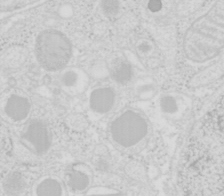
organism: Mouse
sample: Pancreas